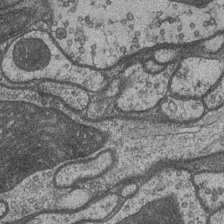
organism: Drosophila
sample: Optic medulla